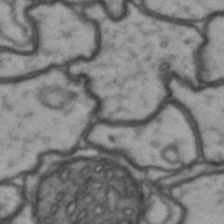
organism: Drosophila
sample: Brain